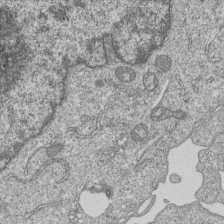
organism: Human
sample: MDA-MB-231 cells